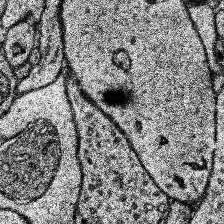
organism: Human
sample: Temporal Lobe